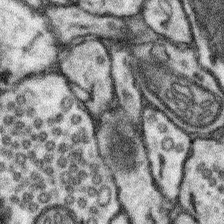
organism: Mouse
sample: Somatosensory cortex neuropil